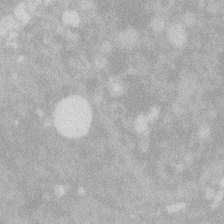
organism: Zebrafish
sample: Macrophage